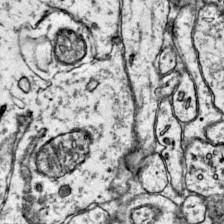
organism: Mouse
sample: Primary visual cortex